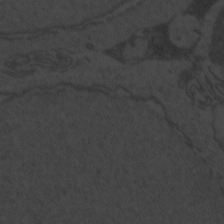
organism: Zebrafish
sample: Macrophage infected with Toxoplasma gondii